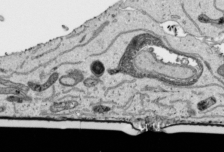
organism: Human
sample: Mitochondria in HCT116 cells